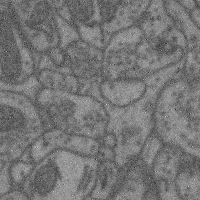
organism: Mouse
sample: Cerebral cortex